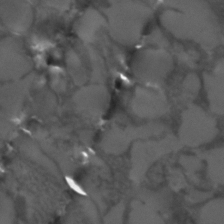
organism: C. elegans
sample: C. elegans embryo